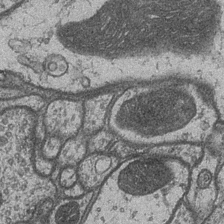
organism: Drosophila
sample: Optic medulla